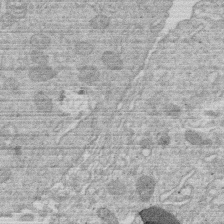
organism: Human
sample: Macrophage cells